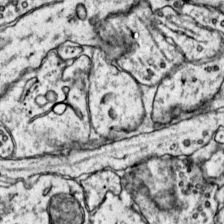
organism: Mouse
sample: Primary visual cortex